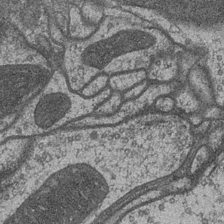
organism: Drosophila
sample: Optic medulla